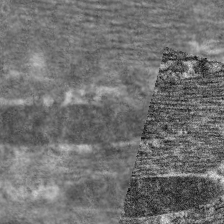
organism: C. elegans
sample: Pharynx